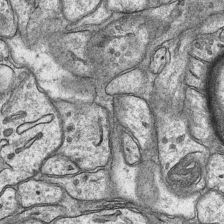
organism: Mouse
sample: CA1 Hippocampus